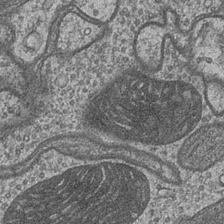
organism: Drosophila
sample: Optic medulla